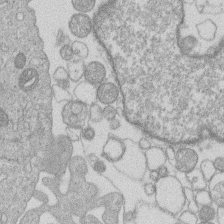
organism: Human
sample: Macrophage cells